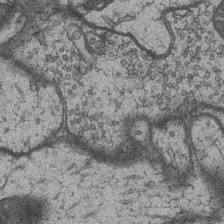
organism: Drosophila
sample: Optic medulla